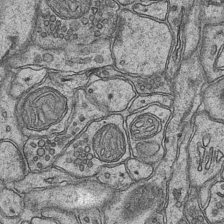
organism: Mouse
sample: CA1 Hippocampus